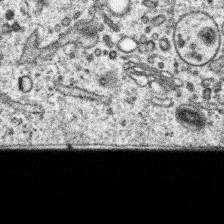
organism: Human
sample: HeLa cells